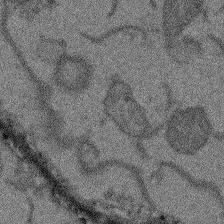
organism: Arabidopsis thaliana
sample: Root tip